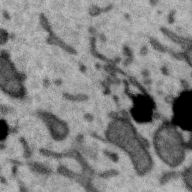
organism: Zebra finch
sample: Brain